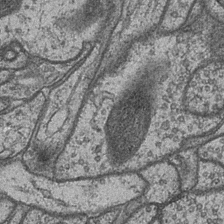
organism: Drosophila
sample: Optic medulla